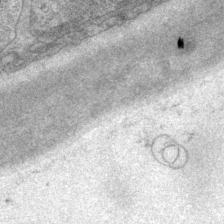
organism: P. pacificus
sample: Pharynx